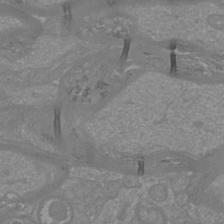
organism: Mouse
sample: Cortical neurons